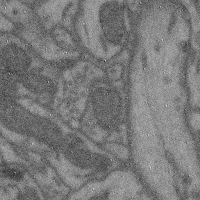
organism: Mouse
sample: Cerebral cortex